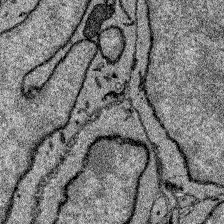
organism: Zebrafish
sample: Larval olfactory bulb